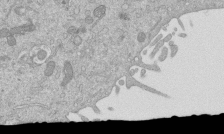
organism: Mouse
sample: ED-1 cell nuclei; centrioles